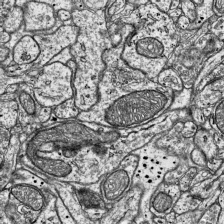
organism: Mouse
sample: Visual Cortex